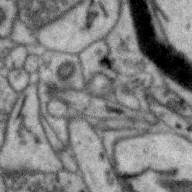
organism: Zebra finch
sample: Brain